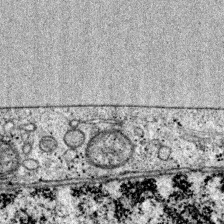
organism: Human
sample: HeLa cells